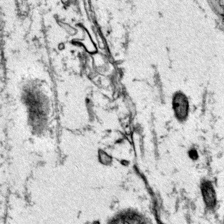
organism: Mouse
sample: Primary visual cortex